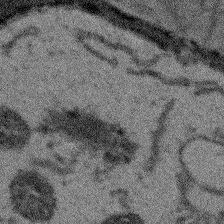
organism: Arabidopsis thaliana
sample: Root tip